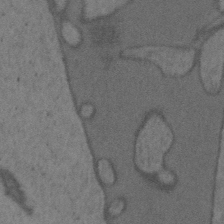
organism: Human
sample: HeLa cells